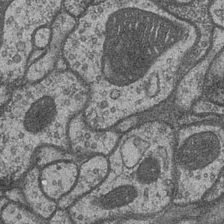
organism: Drosophila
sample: Optic medulla